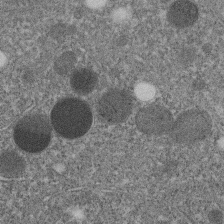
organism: C. elegans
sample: C. elegans embryo early stage